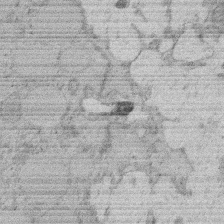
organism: Rat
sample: Salivary granule